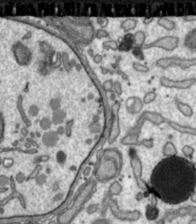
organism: Toxoplasma gondii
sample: Parasites in a vacuole inside a host cell